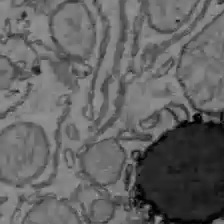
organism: C57BL Mouse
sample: Liver